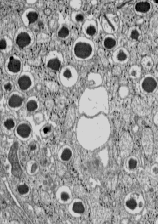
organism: C57BL Mouse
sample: Pancreatic islet